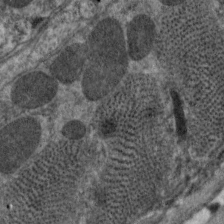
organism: C. elegans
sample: Pharynx